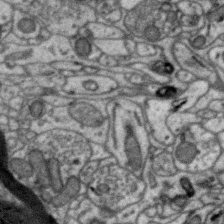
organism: Zebra finch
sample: Brain